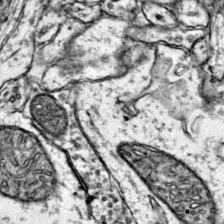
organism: Mouse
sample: Primary visual cortex